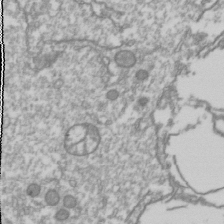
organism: Drosophila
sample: Cell division; meiosis; drosophila spermatocytes